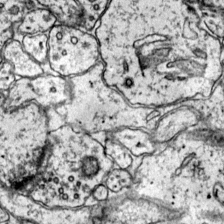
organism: Mouse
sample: Primary visual cortex